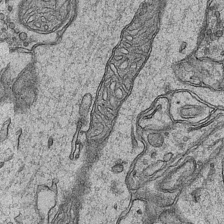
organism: Mouse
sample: CA1 Hippocampus